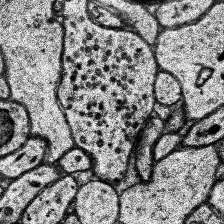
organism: Human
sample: Temporal Lobe